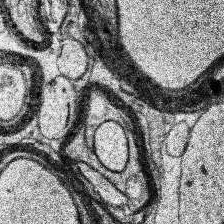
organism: Human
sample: Temporal Lobe